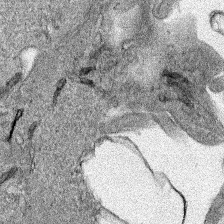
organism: Human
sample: Mitochondria in HCT116 cells